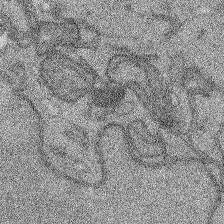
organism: Human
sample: HeLa cells